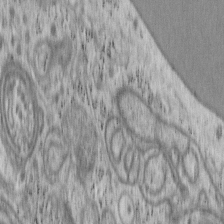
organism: Human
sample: HeLa cells